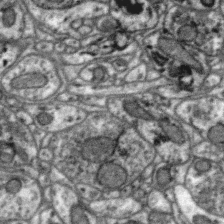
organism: Zebra finch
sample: Brain